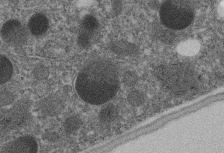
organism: C. elegans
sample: C. elegans embryo early stage